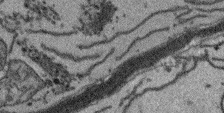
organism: Arabidopsis thaliana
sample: Root tip